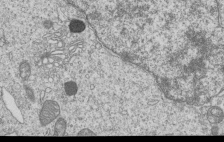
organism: Human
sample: MDA-MB-231 cells